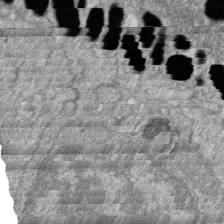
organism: Zebrafish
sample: Cilia; retinal pigment epithelium